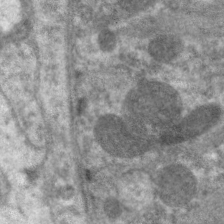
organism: C. elegans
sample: Pharynx